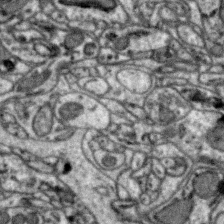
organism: Zebra finch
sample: Brain